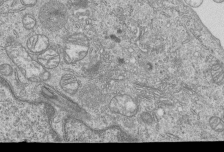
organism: Human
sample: MDA-MB-231 cells